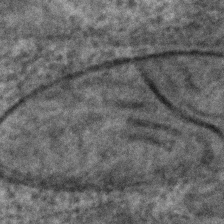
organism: C. elegans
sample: C. elegans embryo